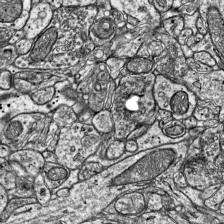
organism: Mouse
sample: Visual Cortex